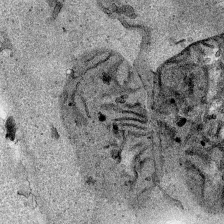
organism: Human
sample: Mitochondria in HCT116 cells